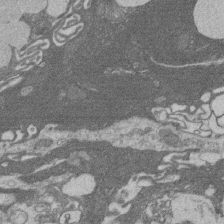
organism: Rat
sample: Salivary granule